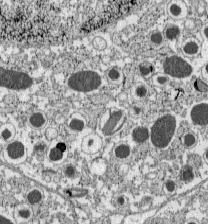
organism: C57BL Mouse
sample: Pancreatic islet